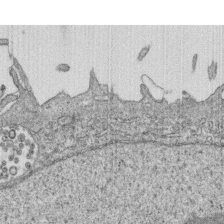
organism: Human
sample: HeLa cell HIV synapse